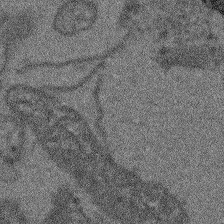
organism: Arabidopsis thaliana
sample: Root tip